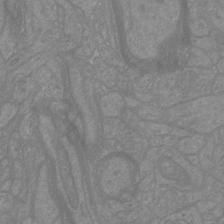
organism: Mouse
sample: Cortical neurons